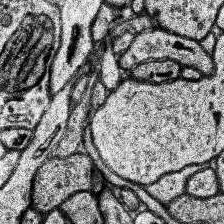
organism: Human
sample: Temporal Lobe